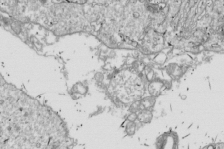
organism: Drosophila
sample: Cell division; meiosis; drosophila spermatocytes